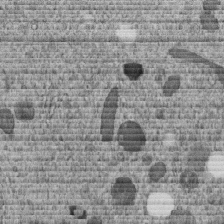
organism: C. elegans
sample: C. elegans embryo early stage